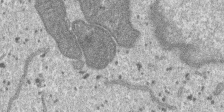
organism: Human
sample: Lung epithelial cells infected with SARS-CoV-2